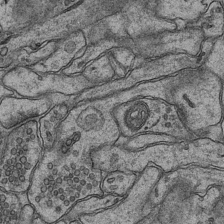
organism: Mouse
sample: CA1 Hippocampus